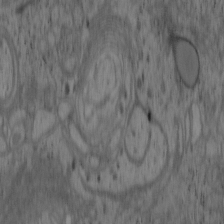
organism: Human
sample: HeLa cells